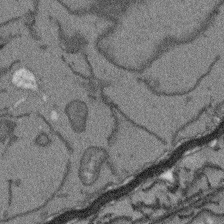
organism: Arabidopsis thaliana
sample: Root tip